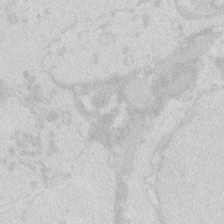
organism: Zebrafish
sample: Macrophage